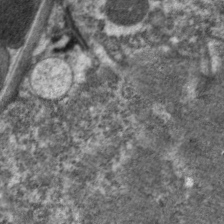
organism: C. elegans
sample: Pharynx